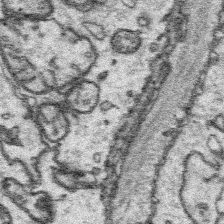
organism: Platynereis dumerilii